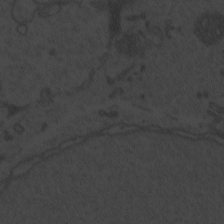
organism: Zebrafish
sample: Macrophage infected with Toxoplasma gondii